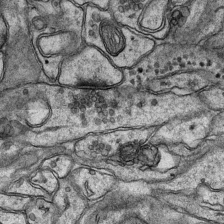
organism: Mouse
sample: CA1 Hippocampus